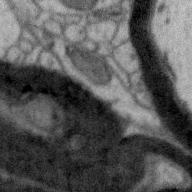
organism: Zebra finch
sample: Brain